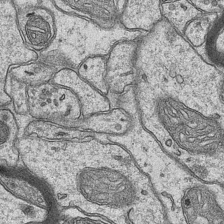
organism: Mouse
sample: CA1 Hippocampus